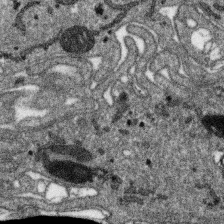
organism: Human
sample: Lung epithelial cells infected with SARS-CoV-2